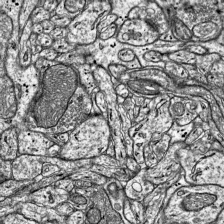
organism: Mouse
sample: Visual Cortex